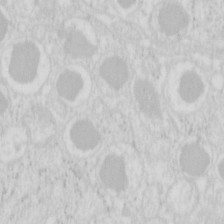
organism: Mouse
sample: Pancreas